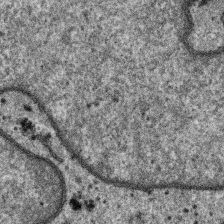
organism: Human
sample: Lung epithelial cells infected with SARS-CoV-2